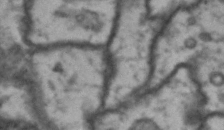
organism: Drosophila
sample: Brain